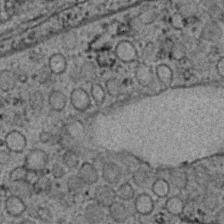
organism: C. elegans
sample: C. elegans embryo